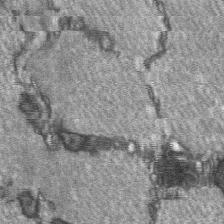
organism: C57BL Mouse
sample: Soleus